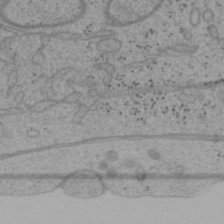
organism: Human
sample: HeLa cells